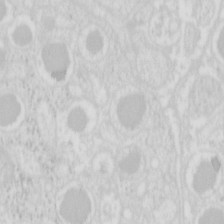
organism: Mouse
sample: Pancreas